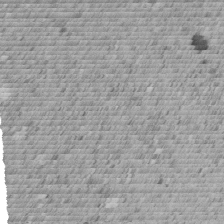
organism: C. elegans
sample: C. elegans embryo early stage